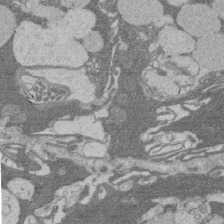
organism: Rat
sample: Salivary granule